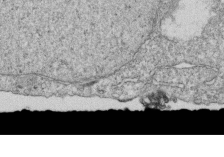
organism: Human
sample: HeLa cell HIV synapse